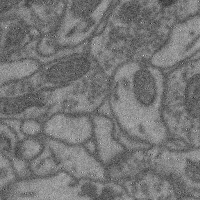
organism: Mouse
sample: Cerebral cortex